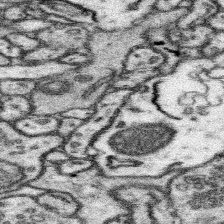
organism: Mouse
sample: Somatosensory cortex neuropil